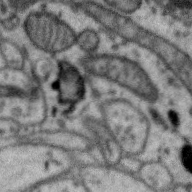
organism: Zebra finch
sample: Brain